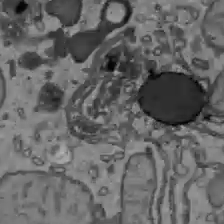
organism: C57BL Mouse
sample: Liver